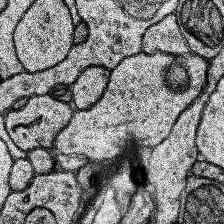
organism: Human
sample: Temporal Lobe